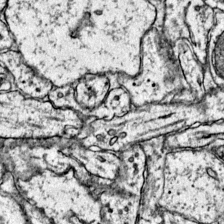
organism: Mouse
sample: Primary visual cortex